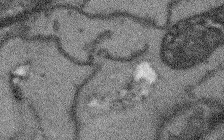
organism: Arabidopsis thaliana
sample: Root tip